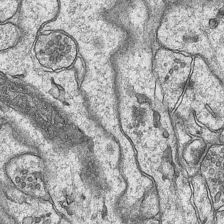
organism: Mouse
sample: CA1 Hippocampus